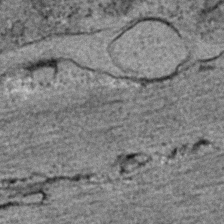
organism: C. elegans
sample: C. elegans embryo